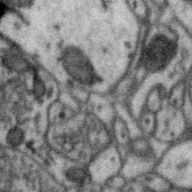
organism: Zebra finch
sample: Brain